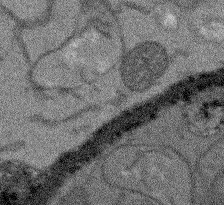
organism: Arabidopsis thaliana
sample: Root tip